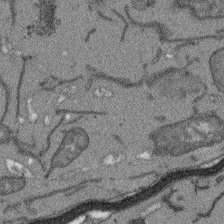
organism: Arabidopsis thaliana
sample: Root tip